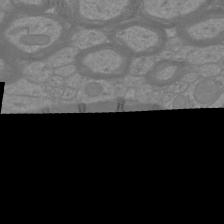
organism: Mouse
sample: Cortical neurons